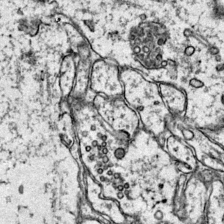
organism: Mouse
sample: Primary visual cortex